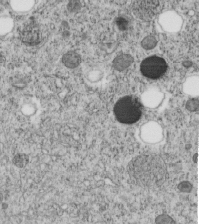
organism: C. elegans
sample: C. elegans embryo early stage